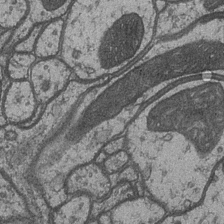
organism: Drosophila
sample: Optic medulla